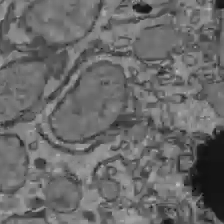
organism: C57BL Mouse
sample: Liver